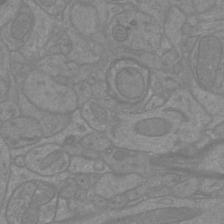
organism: Mouse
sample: Cortical neurons